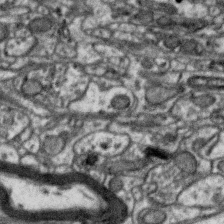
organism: Zebra finch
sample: Brain